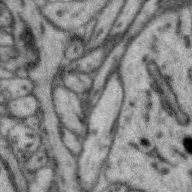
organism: Zebra finch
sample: Brain